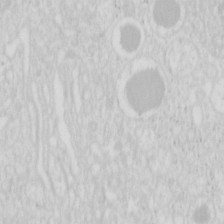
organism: Mouse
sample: Pancreas